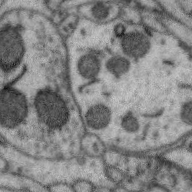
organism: Zebra finch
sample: Brain